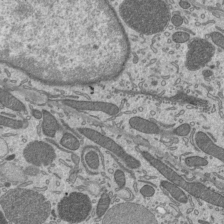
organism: Mouse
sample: Mouse epididymis efferent ductule cilia